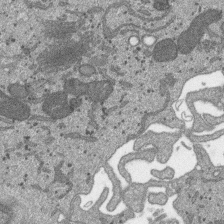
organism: Human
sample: Lung epithelial cells infected with SARS-CoV-2